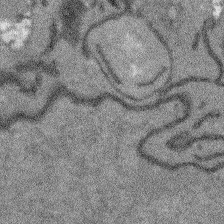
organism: Arabidopsis thaliana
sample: Root tip